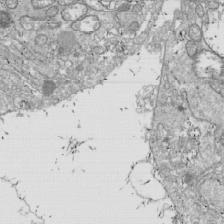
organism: Drosophila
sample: Cell division; meiosis; drosophila spermatocytes